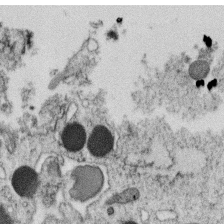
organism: C. elegans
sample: C. elegans oocyte; sperm cells